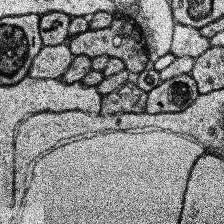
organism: Human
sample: Temporal Lobe